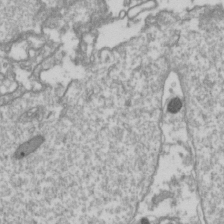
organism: Drosophila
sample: Cell division; meiosis; drosophila spermatocytes